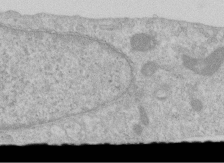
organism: Human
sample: Centriole in RPE cells